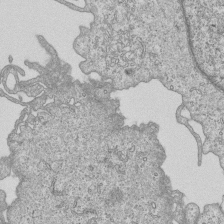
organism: Human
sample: MDA-MB-231 cells